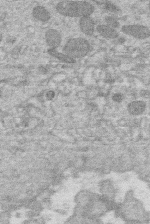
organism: Human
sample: Macrophage cells